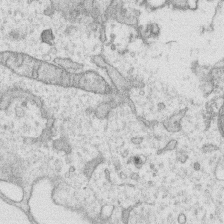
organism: Human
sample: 1205lu cells